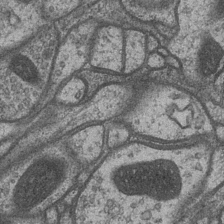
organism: Drosophila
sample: Optic medulla